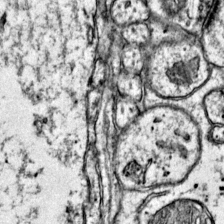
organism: Mouse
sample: Primary visual cortex